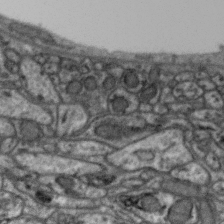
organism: Zebra finch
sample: Brain